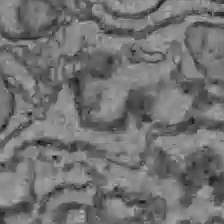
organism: C57BL Mouse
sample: Liver